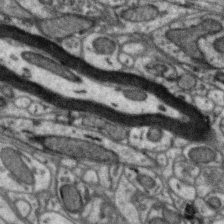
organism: Zebra finch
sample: Brain